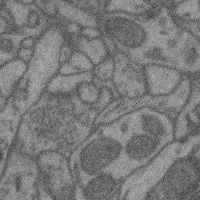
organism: Mouse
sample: Cerebral cortex